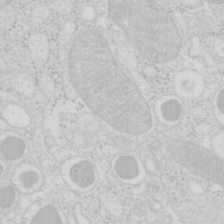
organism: Mouse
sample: Pancreas